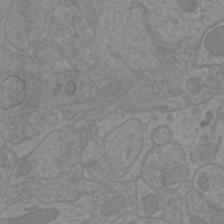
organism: Mouse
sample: Cortical neurons